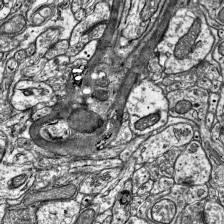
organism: Mouse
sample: Visual Cortex